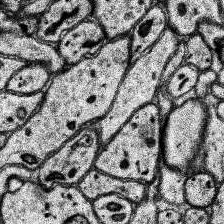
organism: Human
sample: Temporal Lobe